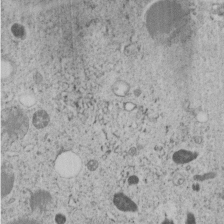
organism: C. elegans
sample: C. elegans embryo early stage